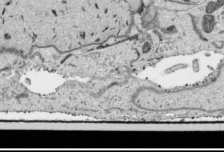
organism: Human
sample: Mitochondria in HCT116 cells